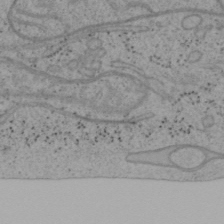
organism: Human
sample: HeLa cells